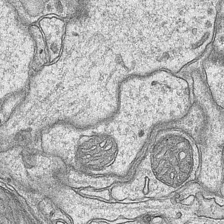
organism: Mouse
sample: CA1 Hippocampus